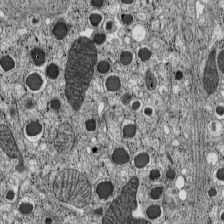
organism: C57BL Mouse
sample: Pancreatic islet